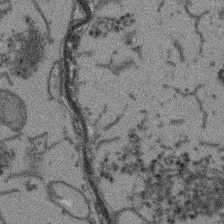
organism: Arabidopsis thaliana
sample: Root tip